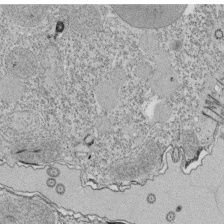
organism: Tetrahymena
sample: Cilia in tetrahymena